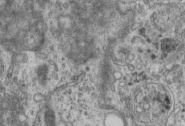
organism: Mouse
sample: Centriole in ependymal cells